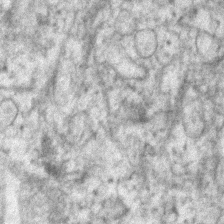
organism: Human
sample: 1205lu cells